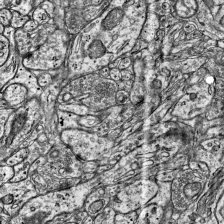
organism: Mouse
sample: Visual Cortex